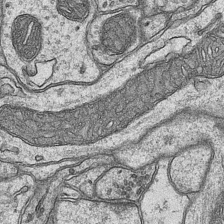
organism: Mouse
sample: CA1 Hippocampus